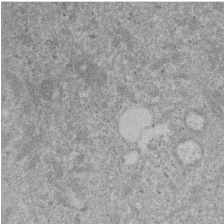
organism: Mouse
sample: Dividing mouse embryo 1 cell stage